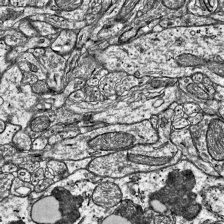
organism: Mouse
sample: Visual Cortex